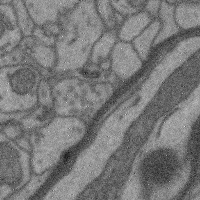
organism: Mouse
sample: Cerebral cortex